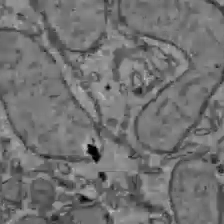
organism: C57BL Mouse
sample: Liver